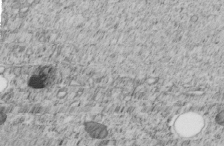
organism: C. elegans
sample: C. elegans embryo early stage